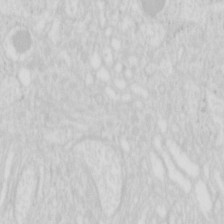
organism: Mouse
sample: Pancreas